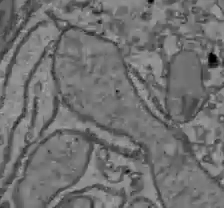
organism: C57BL Mouse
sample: Liver